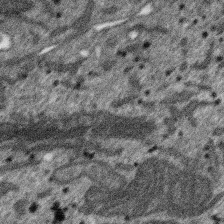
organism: Human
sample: Lung epithelial cells infected with SARS-CoV-2